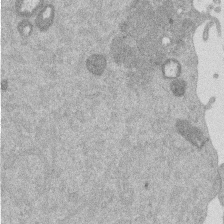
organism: Mouse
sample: Dividing mouse embryo 1 cell stage